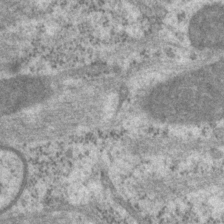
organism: P. pacificus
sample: Pharynx